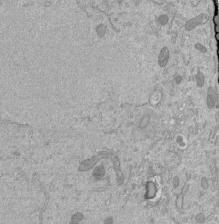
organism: Mouse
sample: ED-1 cell nuclei; centrioles